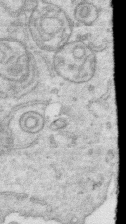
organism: Human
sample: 1205lu cells